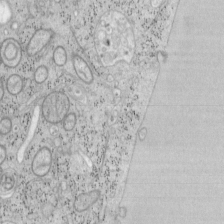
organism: Mouse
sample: OT-I killer T cells with ID8 ovarian cancer cells